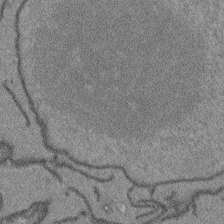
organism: Arabidopsis thaliana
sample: Root tip